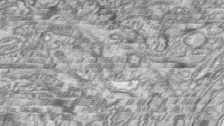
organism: Zebrafish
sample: synaptic ribbons in rod cells and cone cells